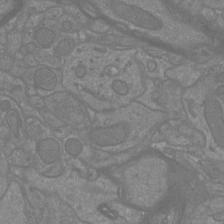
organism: Mouse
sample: Cortical neurons